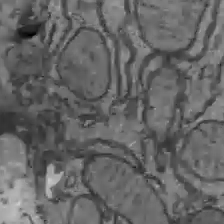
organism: C57BL Mouse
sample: Liver